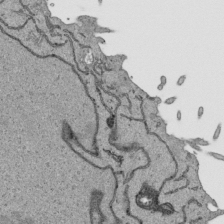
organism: Human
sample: Mitochondria in HCT116 cells